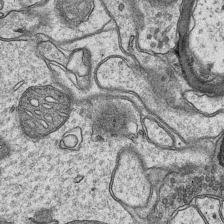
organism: Mouse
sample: CA1 Hippocampus